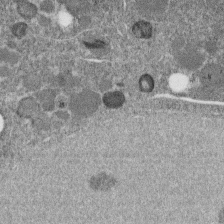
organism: C. elegans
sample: C. elegans embryo early stage